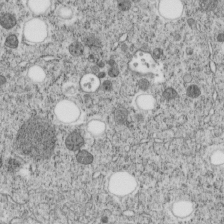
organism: C. elegans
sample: C. elegans embryo early stage